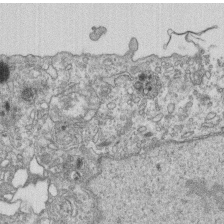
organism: Human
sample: HeLa cell HIV synapse